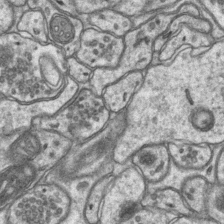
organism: Mouse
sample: CA1 Hippocampus